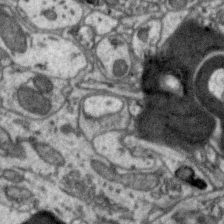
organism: Zebra finch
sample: Brain